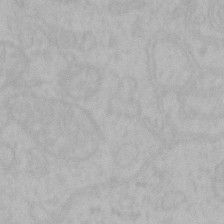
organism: Mouse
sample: Choroid plexus